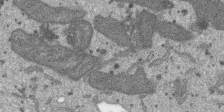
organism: Human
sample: Lung epithelial cells infected with SARS-CoV-2